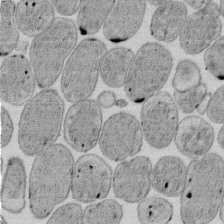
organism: E. coli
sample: Bacterial nucleoid